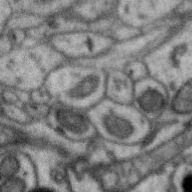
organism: Zebra finch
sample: Brain